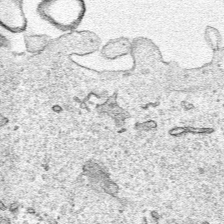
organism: Human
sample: Mitochondria in HCT116 cells